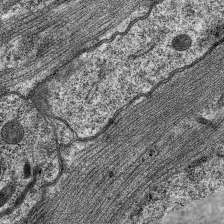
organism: C. elegans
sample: Pharynx